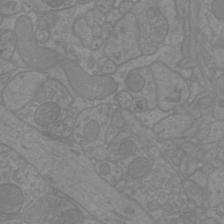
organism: Mouse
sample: Cortical neurons